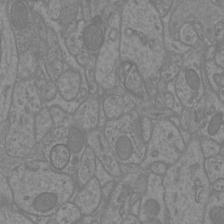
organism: Mouse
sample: Cortical neurons